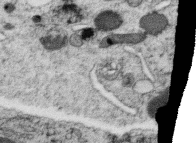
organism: C. elegans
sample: C. elegans oocyte; sperm cells